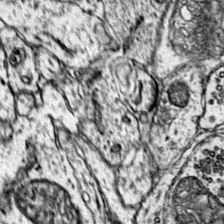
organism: Mouse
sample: Primary visual cortex